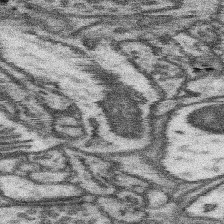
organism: Mouse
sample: Somatosensory cortex neuropil